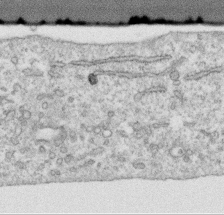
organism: Human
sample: Centriole in RPE cells